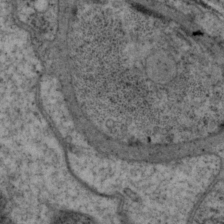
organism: P. pacificus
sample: Pharynx